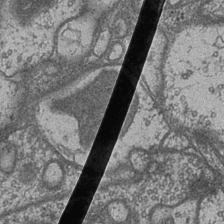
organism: Drosophila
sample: Optic medulla